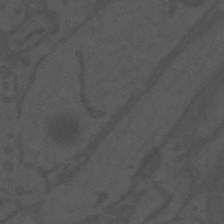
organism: Mouse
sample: Suprachiasmatic nucleus